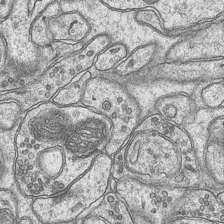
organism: Mouse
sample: CA1 Hippocampus